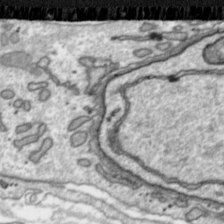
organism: Toxoplasma gondii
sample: Parasites in a vacuole inside a host cell